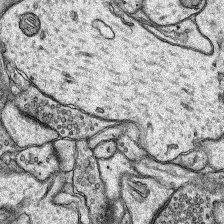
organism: Rat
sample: Hippocampus